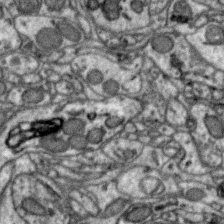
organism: Zebra finch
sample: Brain